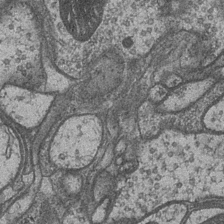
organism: Drosophila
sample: Optic medulla